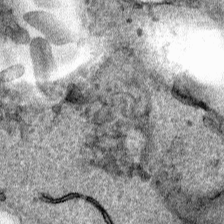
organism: Human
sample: Mitochondria in HCT116 cells